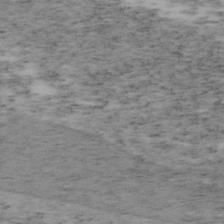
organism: Mouse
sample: OT-I killer T cells with ID8 ovarian cancer cells